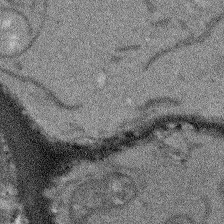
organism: Arabidopsis thaliana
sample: Root tip